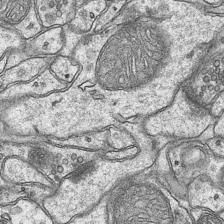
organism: Mouse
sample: CA1 Hippocampus